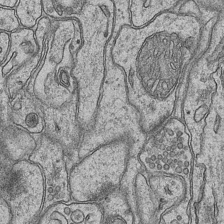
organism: Mouse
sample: CA1 Hippocampus